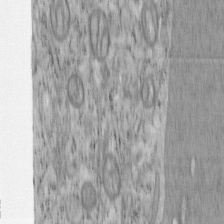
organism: Human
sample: HeLa cells